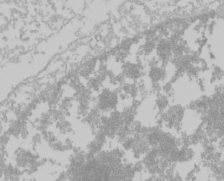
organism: Mouse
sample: Cancer cell death in ED-1 cells